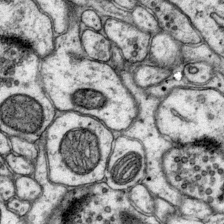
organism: Mouse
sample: Primary visual cortex